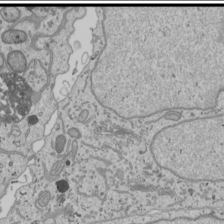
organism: Human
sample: Mitochondria in U2OS cells